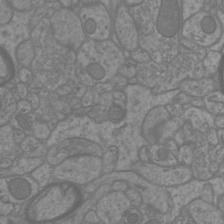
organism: Mouse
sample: Cortical neurons